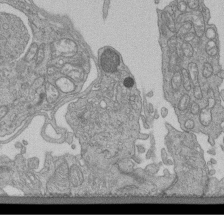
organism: Human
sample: Retinal organoid Rod and Cone cells